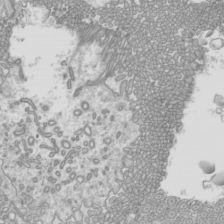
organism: Mouse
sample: Cilia; mouse epididymis